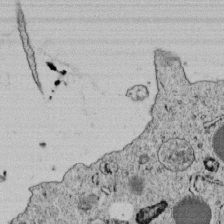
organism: C. elegans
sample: C. elegans embryo early stage